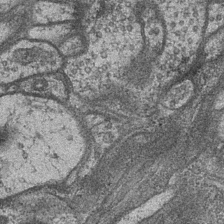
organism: Drosophila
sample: Optic medulla